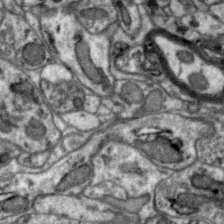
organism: Zebra finch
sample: Brain